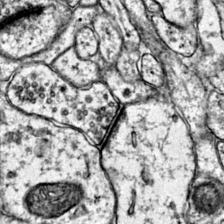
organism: Mouse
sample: Primary visual cortex